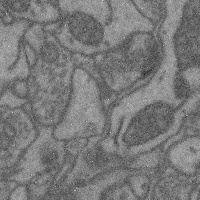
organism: Mouse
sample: Cerebral cortex